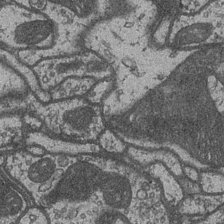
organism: Drosophila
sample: Optic medulla